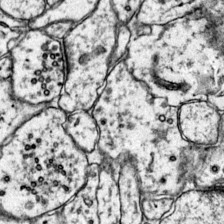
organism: Mouse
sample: Primary visual cortex